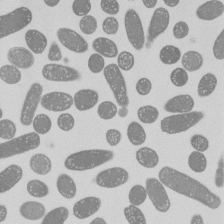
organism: E. coli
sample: Bacterial nucleoid